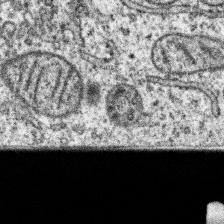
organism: Human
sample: HeLa cells